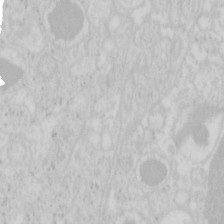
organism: Mouse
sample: Pancreas